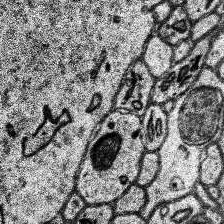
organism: Human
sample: Temporal Lobe